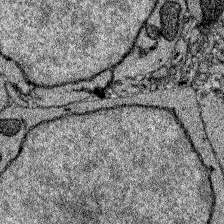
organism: Zebrafish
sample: Larval olfactory bulb